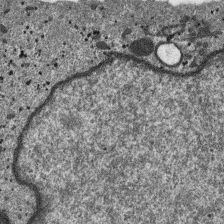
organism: Human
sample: Lung epithelial cells infected with SARS-CoV-2